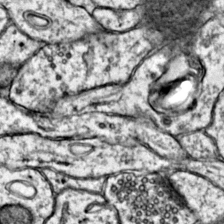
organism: Mouse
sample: Primary visual cortex